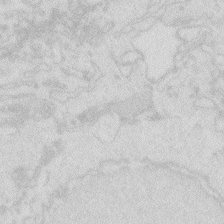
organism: Zebrafish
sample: Macrophage